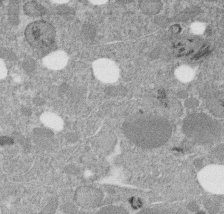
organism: C. elegans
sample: C. elegans embryo early stage